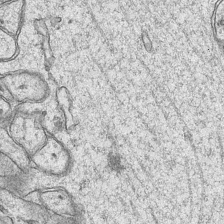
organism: Mouse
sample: CA1 Hippocampus